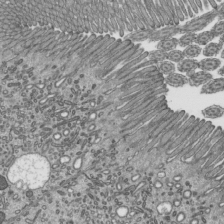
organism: Mouse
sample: Mouse epididymis efferent ductule cilia